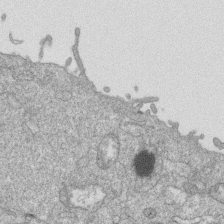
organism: Human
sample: HeLa cell HIV synapse